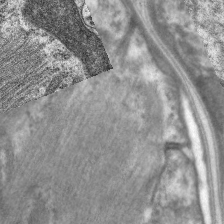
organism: C. elegans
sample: Pharynx